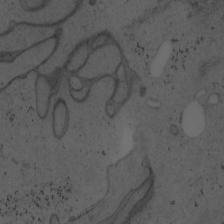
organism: Mouse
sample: OT-I killer T cells with ID8 ovarian cancer cells